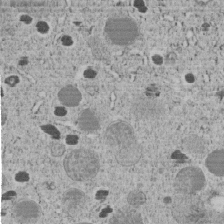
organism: C. elegans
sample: C. elegans embryo early stage